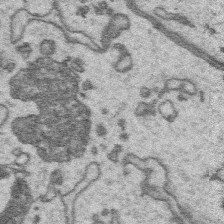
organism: Platynereis dumerilii